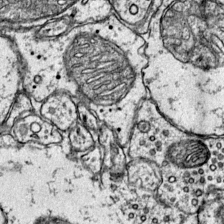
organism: Mouse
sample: Primary visual cortex